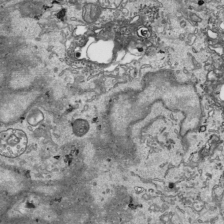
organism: Human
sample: Mitochondria in HCT116 cells